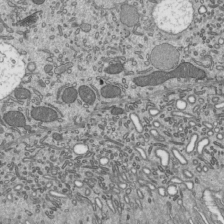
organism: Mouse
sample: Mouse epididymis efferent ductule cilia